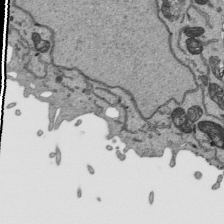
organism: Human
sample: Mitochondria in HCT116 cells